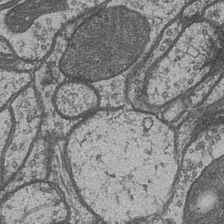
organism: Drosophila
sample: Optic medulla